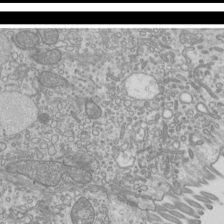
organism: Mouse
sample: Cilia; mouse epididymis